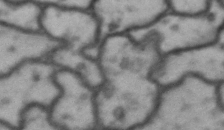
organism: Drosophila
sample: Brain